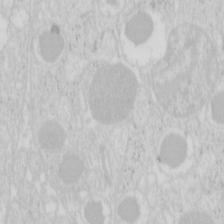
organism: Mouse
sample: Pancreas